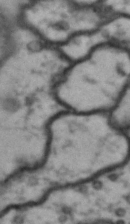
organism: Drosophila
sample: Brain